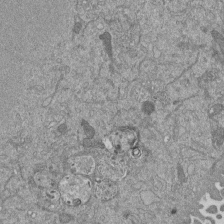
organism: Mouse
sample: ED-1 cell nuclei; centrioles